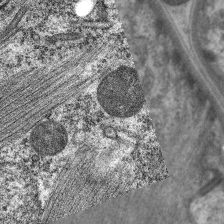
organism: C. elegans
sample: Pharynx